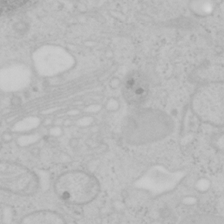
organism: Mouse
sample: OT-I killer T cells with ID8 ovarian cancer cells